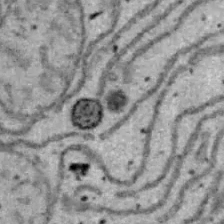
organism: Mouse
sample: Liver from an obese (ob/ob) mouse